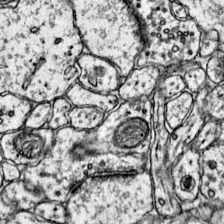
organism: Mouse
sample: Primary visual cortex